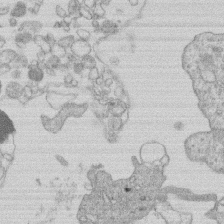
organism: Human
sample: Macrophage cells